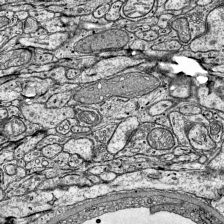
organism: Mouse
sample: Visual Cortex